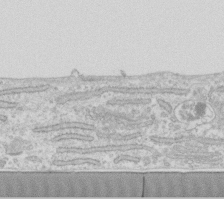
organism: Human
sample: Fibroblast cells